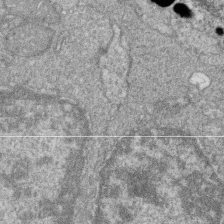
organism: Zebrafish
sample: Cilia; retinal pigment epithelium